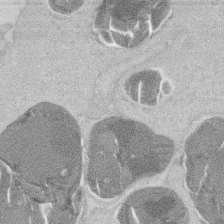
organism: Mouse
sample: T cell stromal cell synapse